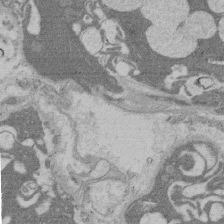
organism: Rat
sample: Salivary granule